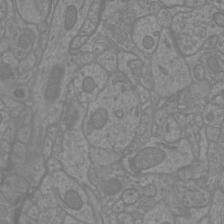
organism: Mouse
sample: Cortical neurons